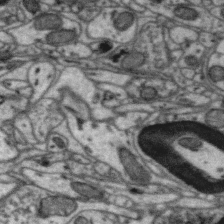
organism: Zebra finch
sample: Brain